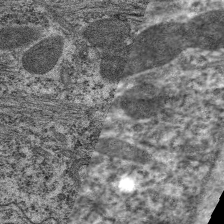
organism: C. elegans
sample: Pharynx